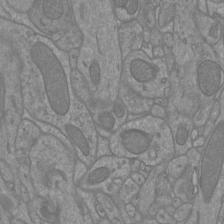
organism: Mouse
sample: Cortical neurons